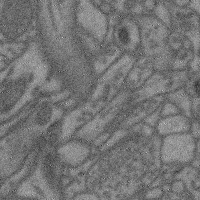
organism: Mouse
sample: Cerebral cortex